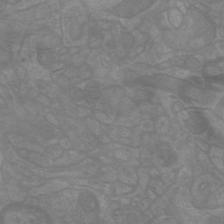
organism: Mouse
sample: Cortical neurons